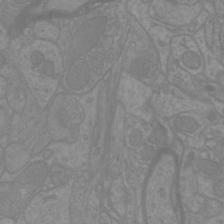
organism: Mouse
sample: Cortical neurons